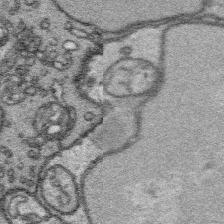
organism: Platynereis dumerilii